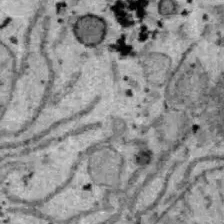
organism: Mouse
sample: Liver from an obese (ob/ob) mouse